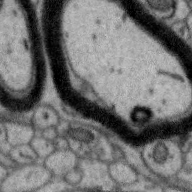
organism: Zebra finch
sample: Brain